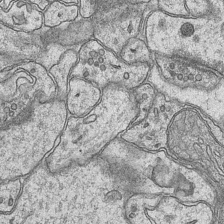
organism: Mouse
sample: CA1 Hippocampus